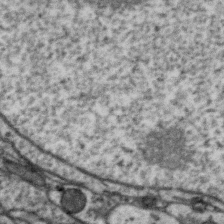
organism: Zebra finch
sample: Brain